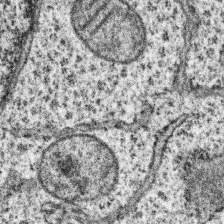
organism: Human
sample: HeLa cells